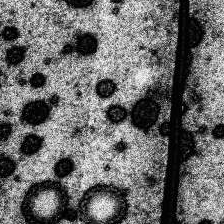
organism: Human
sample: Temporal Lobe